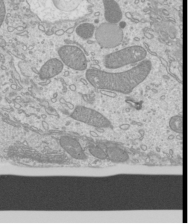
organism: Mouse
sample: Cilia; mouse epididymis